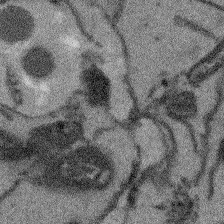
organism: Arabidopsis thaliana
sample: Root tip